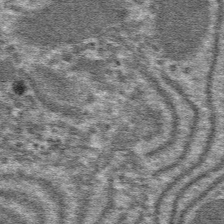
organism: Mouse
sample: Mouse hepatocytes